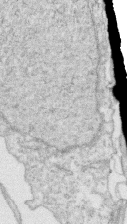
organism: Human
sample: HeLa cell HIV synapse